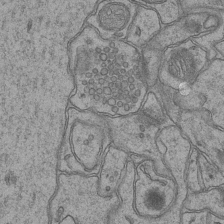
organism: Mouse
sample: CA1 Hippocampus